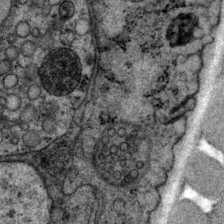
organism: P. pacificus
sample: Pharynx